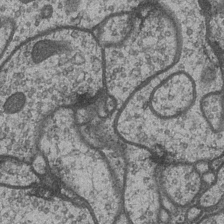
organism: Drosophila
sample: Optic medulla